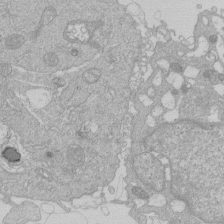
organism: Human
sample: Macrophage cells